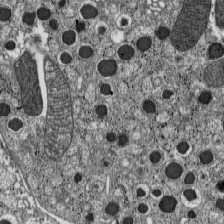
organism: C57BL Mouse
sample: Pancreatic islet